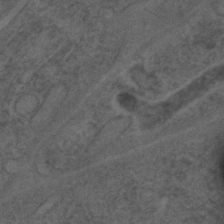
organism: C. elegans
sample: C. elegans embryo